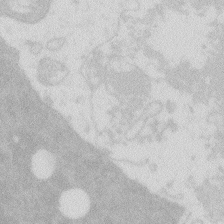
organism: Zebrafish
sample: Macrophage